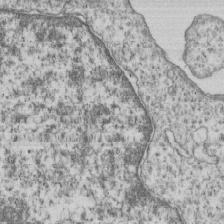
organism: Human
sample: MDA-MB-231 cells